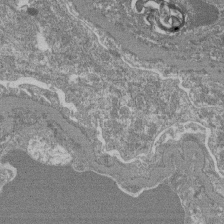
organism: Mouse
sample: Glomerulus